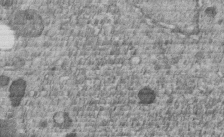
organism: C. elegans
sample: C. elegans embryo early stage